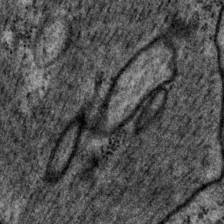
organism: P. pacificus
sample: Pharynx